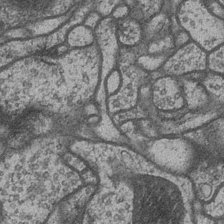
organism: Drosophila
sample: Optic medulla